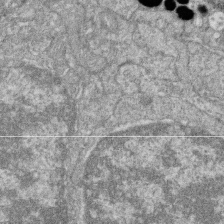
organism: Zebrafish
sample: Cilia; retinal pigment epithelium